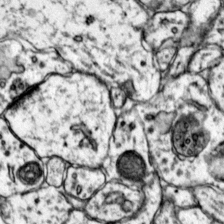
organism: Mouse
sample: Primary visual cortex